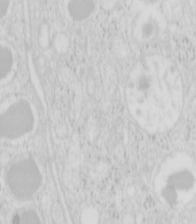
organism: Mouse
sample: Pancreas